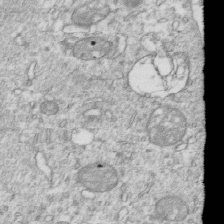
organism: Mouse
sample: Activated OT-1 CD8+ T cells